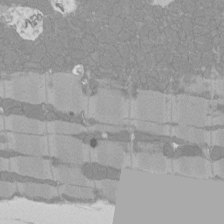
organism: Rat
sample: Left ventricle